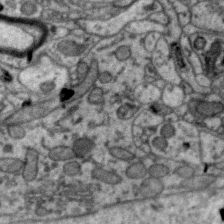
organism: Zebra finch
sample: Brain